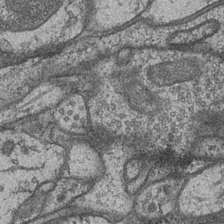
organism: Drosophila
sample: Optic medulla